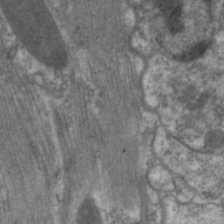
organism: C. elegans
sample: Pharynx